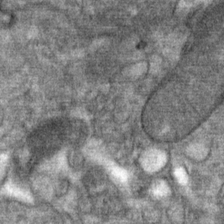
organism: Mouse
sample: Mouse Salivary gland